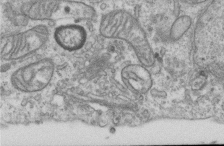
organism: Human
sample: Centriole in RPE cells